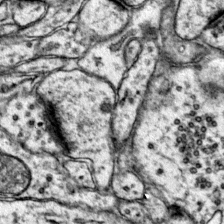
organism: Mouse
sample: Primary visual cortex